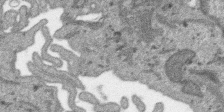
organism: Human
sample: Lung epithelial cells infected with SARS-CoV-2